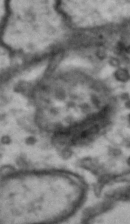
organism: Drosophila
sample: Brain